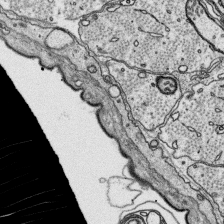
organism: Platynereis dumerilii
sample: Parapodia